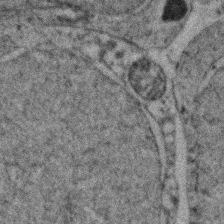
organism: Zebrafish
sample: Zebrafish embryo